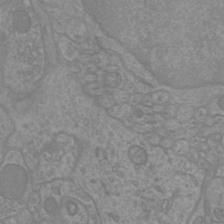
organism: Mouse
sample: Cortical neurons